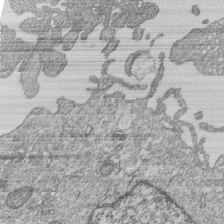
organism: Human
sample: MDA-MB-231 cells